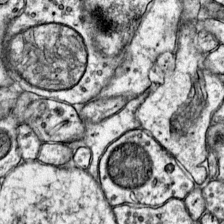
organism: Mouse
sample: Primary visual cortex